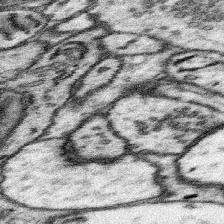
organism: Mouse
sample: Somatosensory cortex neuropil